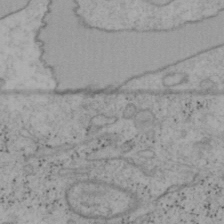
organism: Human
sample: HeLa cells